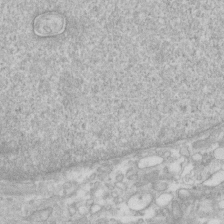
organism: Human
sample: Fibroblast cells